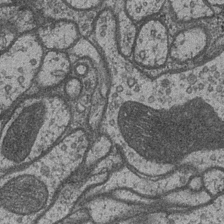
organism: Drosophila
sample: Optic medulla